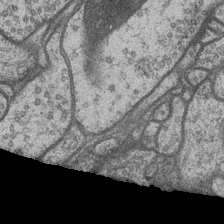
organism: Drosophila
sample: Optic medulla